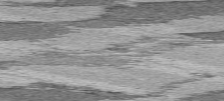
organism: C57BL Mouse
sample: Heart